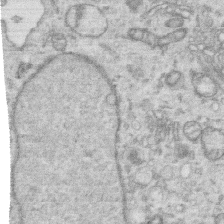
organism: Human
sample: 1205lu cells